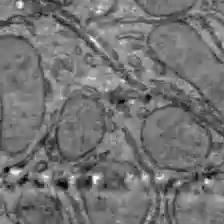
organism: C57BL Mouse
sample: Liver